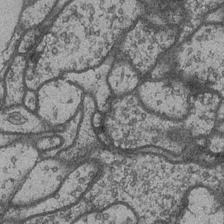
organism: Drosophila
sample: Optic medulla